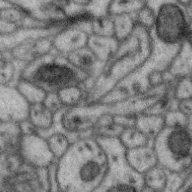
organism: Zebra finch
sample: Brain